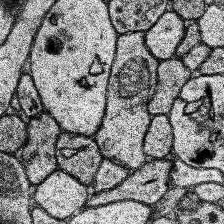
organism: Human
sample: Temporal Lobe